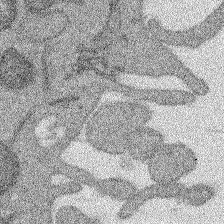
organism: Human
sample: HeLa cells